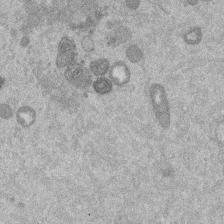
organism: Mouse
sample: Dividing mouse embryo 1 cell stage